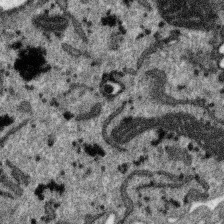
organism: Human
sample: Lung epithelial cells infected with SARS-CoV-2